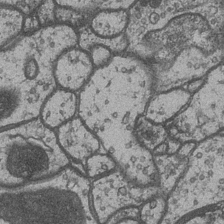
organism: Drosophila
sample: Optic medulla